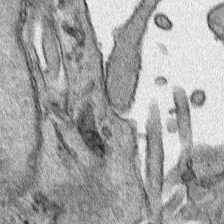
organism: Human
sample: Mitochondria in HCT116 cells